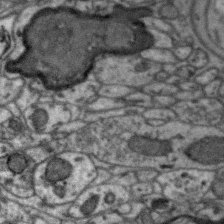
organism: Zebra finch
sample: Brain